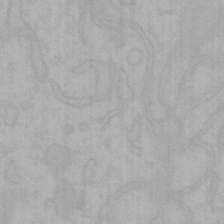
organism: Mouse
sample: Choroid plexus